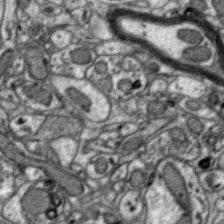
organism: Zebra finch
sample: Brain